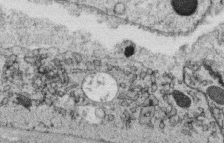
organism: C. elegans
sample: C. elegans oocyte; sperm cells